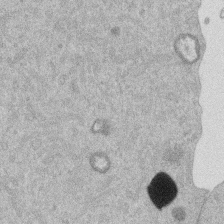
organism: Mouse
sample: Dividing mouse embryo 1 cell stage